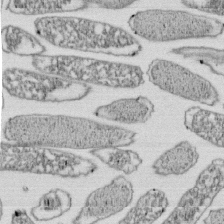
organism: E. coli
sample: Bacterial nucleoid